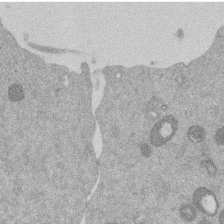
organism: Mouse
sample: Dividing mouse embryo 1 cell stage